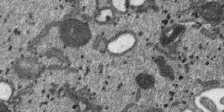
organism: Human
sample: Lung epithelial cells infected with SARS-CoV-2